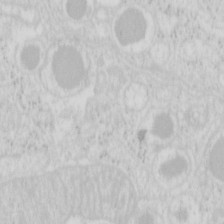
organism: Mouse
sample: Pancreas